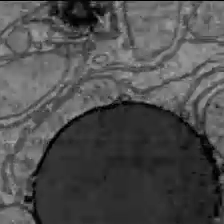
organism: C57BL Mouse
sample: Liver